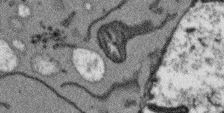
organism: Arabidopsis thaliana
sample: Root tip